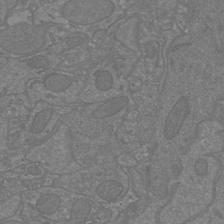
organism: Mouse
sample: Cortical neurons